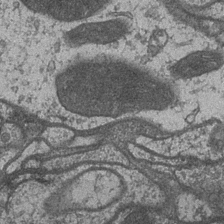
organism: Drosophila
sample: Optic medulla